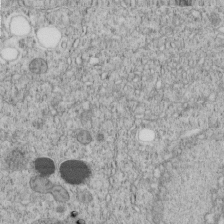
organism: C. elegans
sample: C. elegans embryo early stage